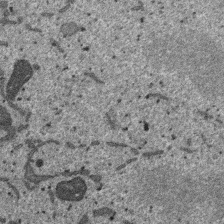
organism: Human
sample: Lung epithelial cells infected with SARS-CoV-2